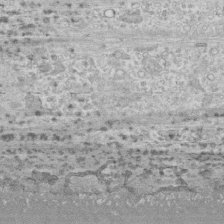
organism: Human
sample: CRL-1474